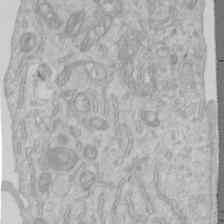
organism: Human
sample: Centriole in RPE cells